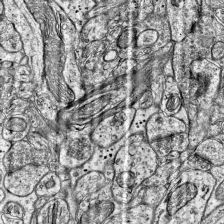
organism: Mouse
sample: Visual Cortex